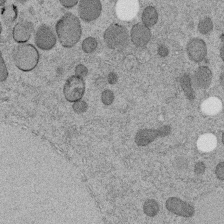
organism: C. elegans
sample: C. elegans embryo early stage